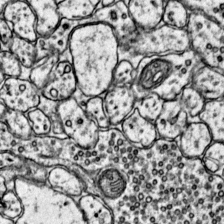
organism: Mouse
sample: Primary visual cortex